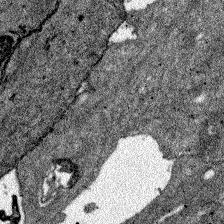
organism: Zebrafish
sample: Larval olfactory bulb